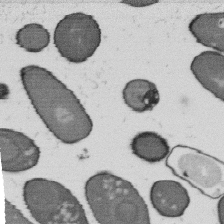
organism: B. subtilis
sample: Bacterial spore